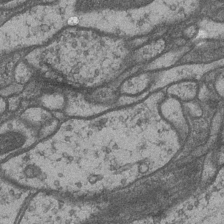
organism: Drosophila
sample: Optic medulla